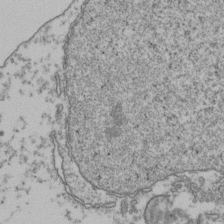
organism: Human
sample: Activated Jurkat CD4+ T cells